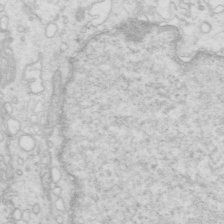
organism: Mouse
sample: Multiciliated cells